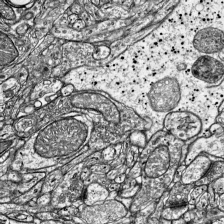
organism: Mouse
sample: Visual Cortex